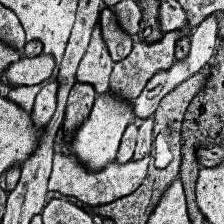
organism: Human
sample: Temporal Lobe